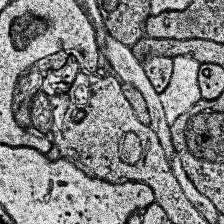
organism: Human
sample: Temporal Lobe